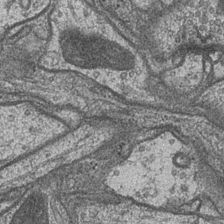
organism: Drosophila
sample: Optic medulla